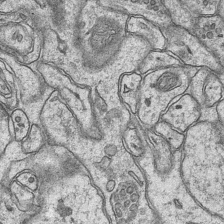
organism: Mouse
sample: CA1 Hippocampus